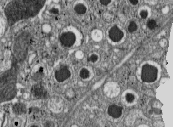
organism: C57BL Mouse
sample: Pancreatic islet